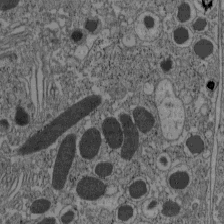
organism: C57BL Mouse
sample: Pancreatic islet